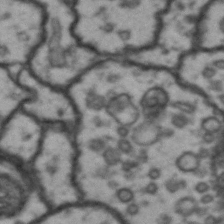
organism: Drosophila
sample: Brain